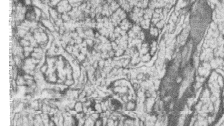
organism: Zebrafish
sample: synaptic ribbons in rod cells and cone cells